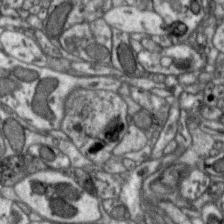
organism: Zebra finch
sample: Brain